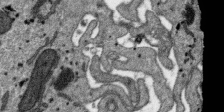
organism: Human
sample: Lung epithelial cells, uninfected (mock) control